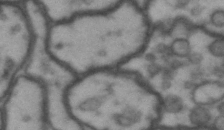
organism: Drosophila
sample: Brain